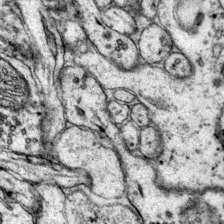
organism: Mouse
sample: Primary visual cortex